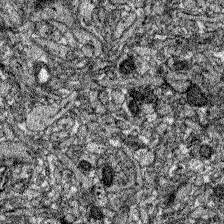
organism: Zebrafish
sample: Larval olfactory bulb